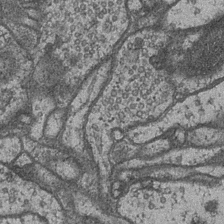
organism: Drosophila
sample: Optic medulla